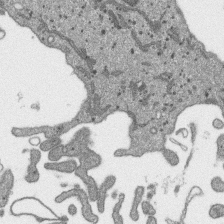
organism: Human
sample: Lung epithelial cells infected with SARS-CoV-2